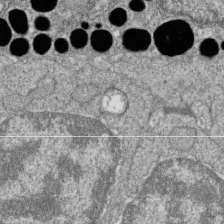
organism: Zebrafish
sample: Cilia; retinal pigment epithelium